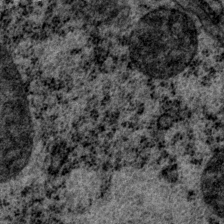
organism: P. pacificus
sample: Pharynx